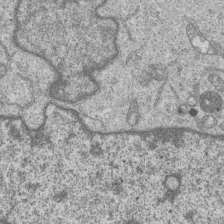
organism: Human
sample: MDA-MB-231 cells